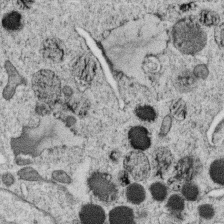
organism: C. elegans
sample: C. elegans oocyte; sperm cells